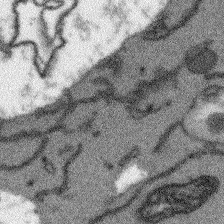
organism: Arabidopsis thaliana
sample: Root tip